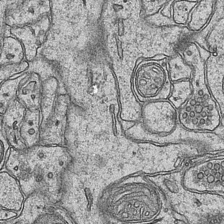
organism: Mouse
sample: CA1 Hippocampus